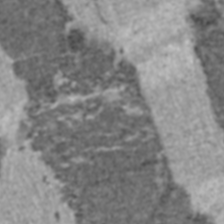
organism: C57BL Mouse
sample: Heart